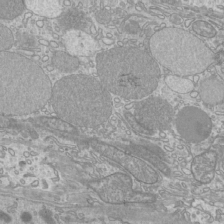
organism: Mouse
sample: Cilia; mouse epididymis